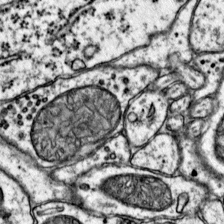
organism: Mouse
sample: Primary visual cortex